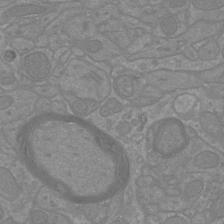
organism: Mouse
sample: Cortical neurons